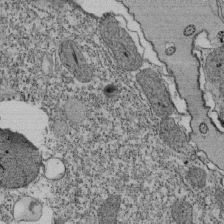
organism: Tetrahymena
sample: Cilia in tetrahymena